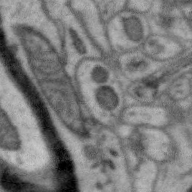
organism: Zebra finch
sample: Brain